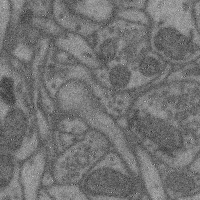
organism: Mouse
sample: Cerebral cortex